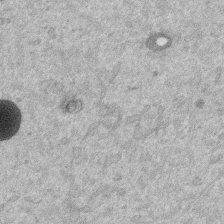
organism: Mouse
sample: Dividing mouse embryo 1 cell stage